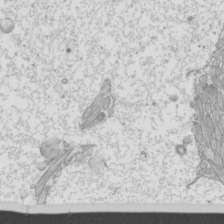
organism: Mouse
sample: Cilia; mouse epididymis